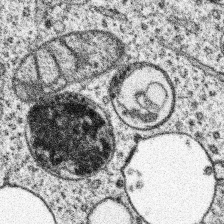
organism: Human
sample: HeLa cells